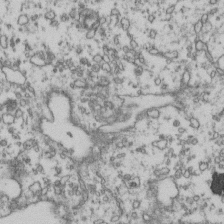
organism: Human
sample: Activated Jurkat CD4+ T cells